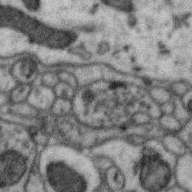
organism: Zebra finch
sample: Brain